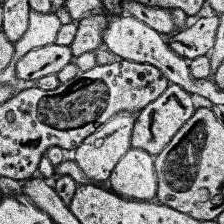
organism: Human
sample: Temporal Lobe